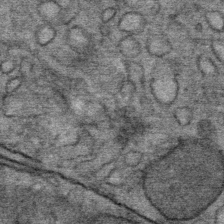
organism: Mouse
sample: Mouse Salivary gland